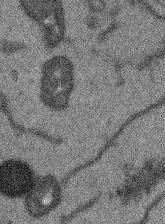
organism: Arabidopsis thaliana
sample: Root tip